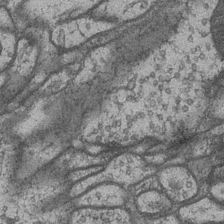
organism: Drosophila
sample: Optic medulla